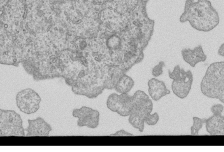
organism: Human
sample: MDA-MB-231 cells